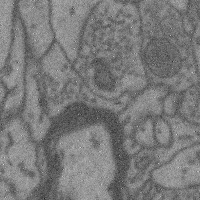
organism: Mouse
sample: Cerebral cortex